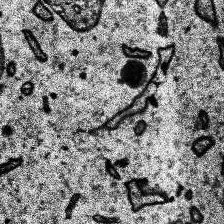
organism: Human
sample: Temporal Lobe